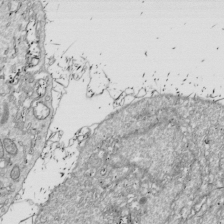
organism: Drosophila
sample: Cell division; meiosis; drosophila spermatocytes